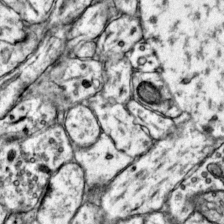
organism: Mouse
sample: Primary visual cortex